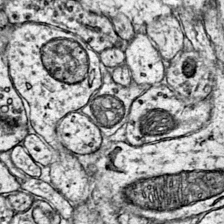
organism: Mouse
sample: Primary visual cortex